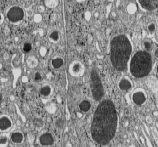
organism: C57BL Mouse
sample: Pancreatic islet